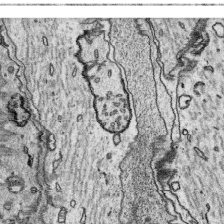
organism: Platynereis dumerilii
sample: Parapodia